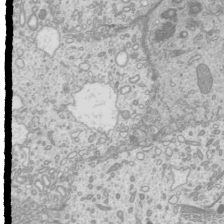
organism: Mouse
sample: Cilia; mouse epididymis